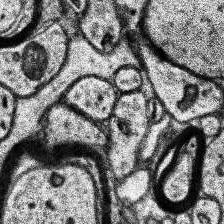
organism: Human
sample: Temporal Lobe